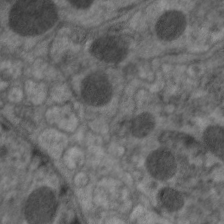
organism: C. elegans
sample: Pharynx